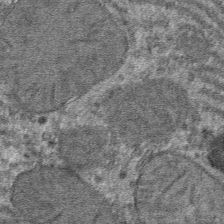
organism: Mouse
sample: Mouse hepatocytes